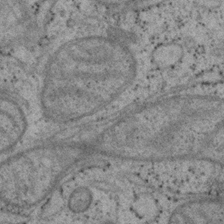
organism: Human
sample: HeLa cells